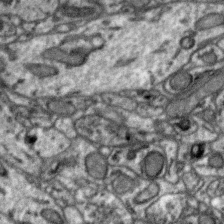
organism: Zebra finch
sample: Brain